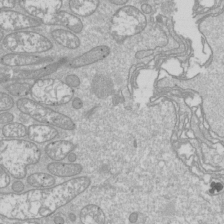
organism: Drosophila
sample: Cell division; meiosis; drosophila spermatocytes